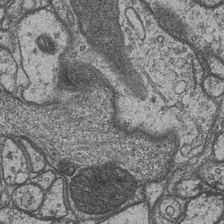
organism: Drosophila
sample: Optic medulla